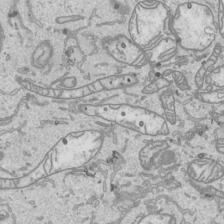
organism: Human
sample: Mitochondria in HCT116 cells